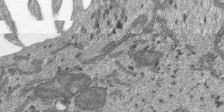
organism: Human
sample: Lung epithelial cells infected with SARS-CoV-2